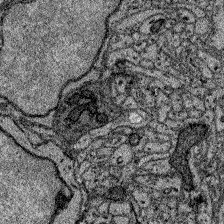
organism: Zebrafish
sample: Larval olfactory bulb